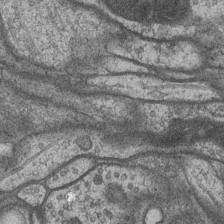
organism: Drosophila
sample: Optic medulla